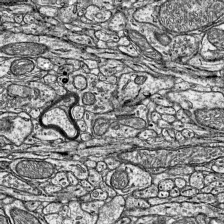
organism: Mouse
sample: Visual Cortex